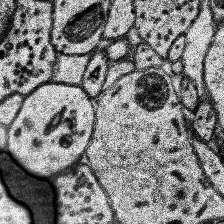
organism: Human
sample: Temporal Lobe